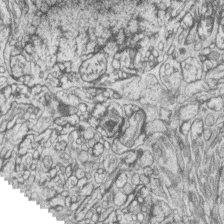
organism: Zebrafish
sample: synaptic ribbons in rod cells and cone cells